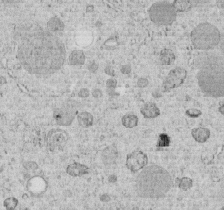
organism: C. elegans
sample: C. elegans embryo early stage